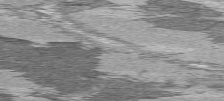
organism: C57BL Mouse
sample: Heart